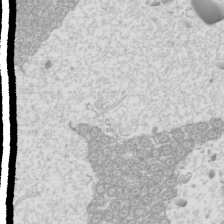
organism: Mouse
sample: Cilia; mouse epididymis